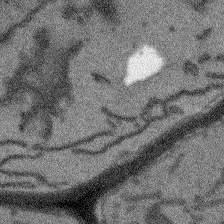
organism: Arabidopsis thaliana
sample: Root tip